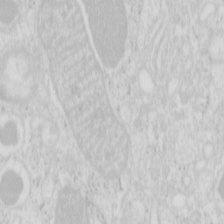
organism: Mouse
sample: Pancreas